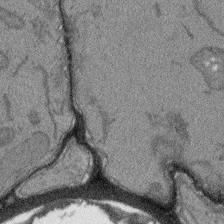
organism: Arabidopsis thaliana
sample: Root tip